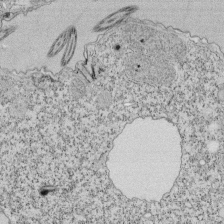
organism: Tetrahymena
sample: Cilia in tetrahymena